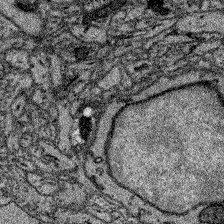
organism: Zebrafish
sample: Larval olfactory bulb